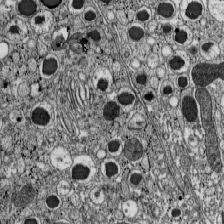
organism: C57BL Mouse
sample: Pancreatic islet